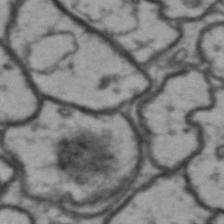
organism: Drosophila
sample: Brain